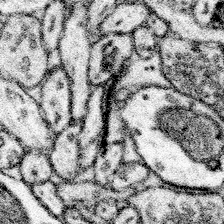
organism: Mouse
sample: Somatosensory cortex neuropil